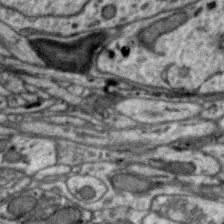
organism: Zebra finch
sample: Brain